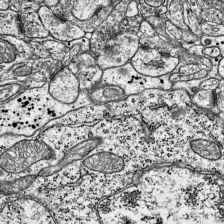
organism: Mouse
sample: Visual Cortex